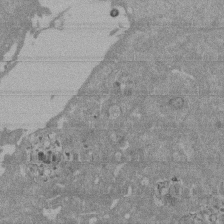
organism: Mouse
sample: ED-1 cell nuclei; centrioles